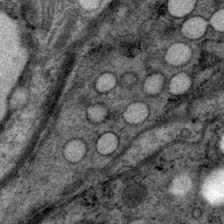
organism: P. pacificus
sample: Pharynx